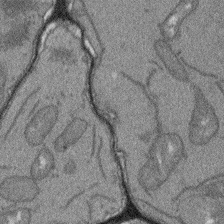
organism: Arabidopsis thaliana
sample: Root tip